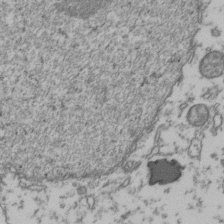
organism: Human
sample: Activated Jurkat CD4+ T cells